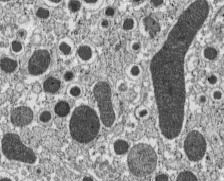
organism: C57BL Mouse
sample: Pancreatic islet